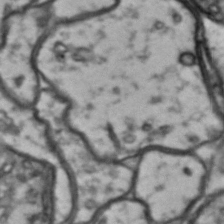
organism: Drosophila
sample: Brain